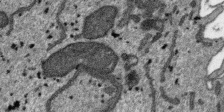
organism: Human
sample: Lung epithelial cells, uninfected (mock) control